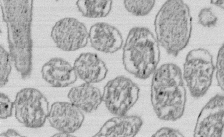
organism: E. coli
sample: Bacterial nucleoid